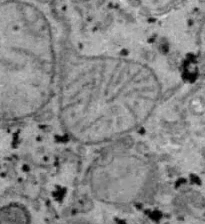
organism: Mouse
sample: Liver from an obese (ob/ob) mouse